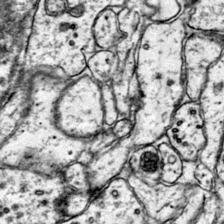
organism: Mouse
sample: Primary visual cortex